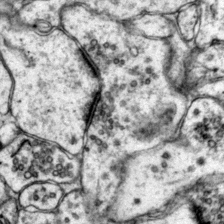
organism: Mouse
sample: Primary visual cortex